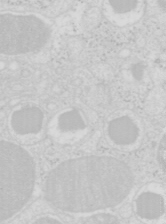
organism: Mouse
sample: Pancreas